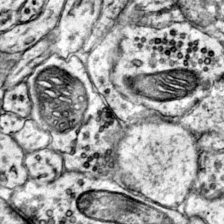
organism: Mouse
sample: Primary visual cortex